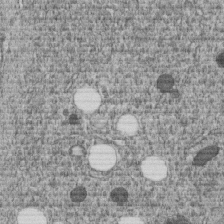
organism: C. elegans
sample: C. elegans embryo early stage